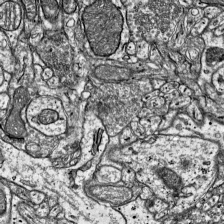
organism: Mouse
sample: Visual Cortex